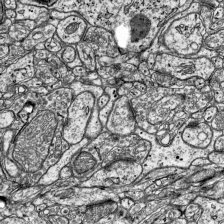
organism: Mouse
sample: Visual Cortex